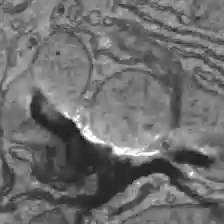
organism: C57BL Mouse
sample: Liver